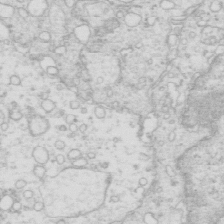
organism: Mouse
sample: Multiciliated cells